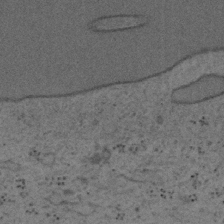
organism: Human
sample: HeLa cells